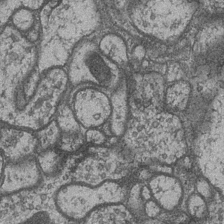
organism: Drosophila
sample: Optic medulla